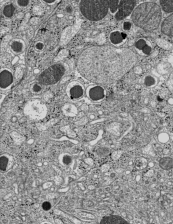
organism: C57BL Mouse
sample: Pancreatic islet